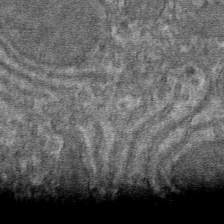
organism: Mouse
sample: Mouse hepatocytes